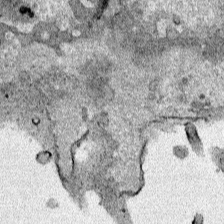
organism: Human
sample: Mitochondria in HCT116 cells